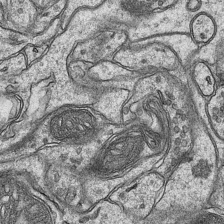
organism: Mouse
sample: CA1 Hippocampus